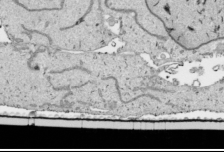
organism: Human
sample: Mitochondria in HCT116 cells